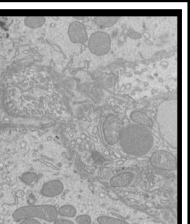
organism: Mouse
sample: Cilia; mouse epididymis